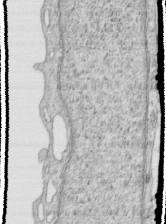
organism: Human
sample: Centriole in RPE cells